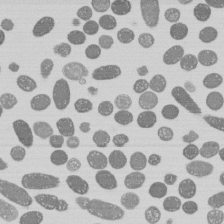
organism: E. coli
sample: Bacterial nucleoid